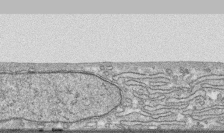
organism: Human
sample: CRL-1474